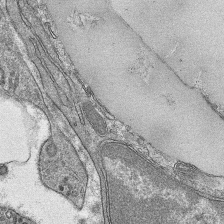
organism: Mouse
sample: Mouse hepatocytes